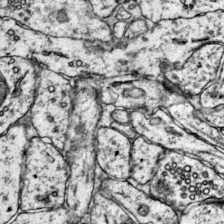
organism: Mouse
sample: Primary visual cortex